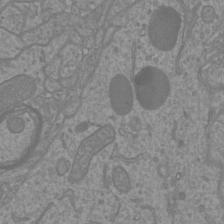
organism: Mouse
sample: Cortical neurons